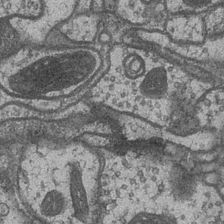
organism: Drosophila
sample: Optic medulla